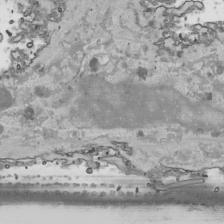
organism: Human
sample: Mitochondria in HCT116 cells